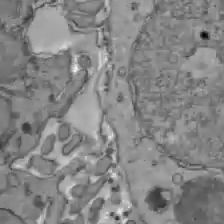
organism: C57BL Mouse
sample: Liver